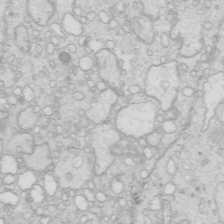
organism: Mouse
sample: Multiciliated cells